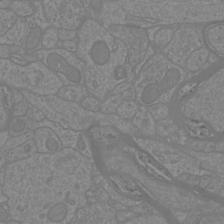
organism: Mouse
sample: Cortical neurons